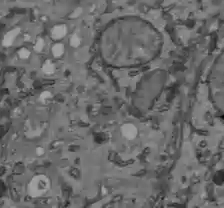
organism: C57BL Mouse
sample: Liver